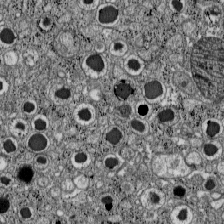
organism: C57BL Mouse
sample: Pancreatic islet